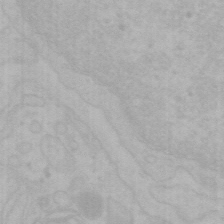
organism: Mouse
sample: Choroid plexus